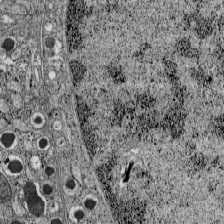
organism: C57BL Mouse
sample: Pancreatic islet